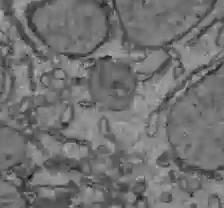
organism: C57BL Mouse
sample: Liver